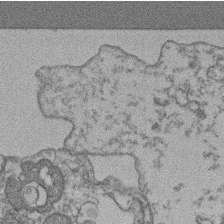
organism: Mouse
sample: T cell stromal cell synapse